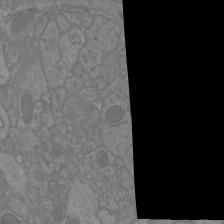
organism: Mouse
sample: Cortical neurons